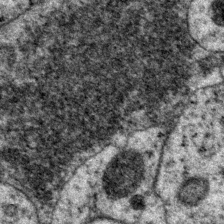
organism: P. pacificus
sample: Pharynx